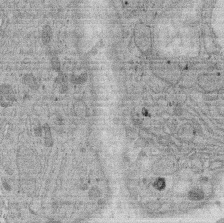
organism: Rat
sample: Salivary granule